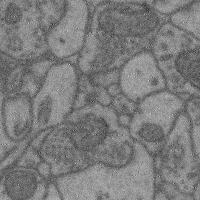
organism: Mouse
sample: Cerebral cortex